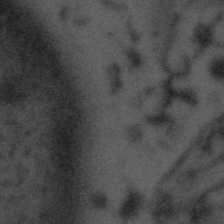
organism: Tuwongella immobilis